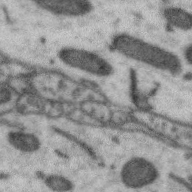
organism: Zebra finch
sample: Brain